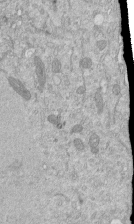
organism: Mouse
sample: ED-1 cell nuclei; centrioles